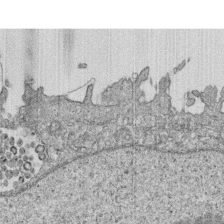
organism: Human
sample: HeLa cell HIV synapse